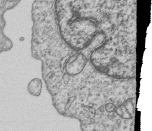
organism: Human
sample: MDA-MB-231 cells